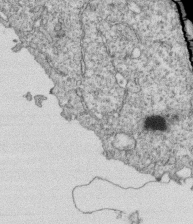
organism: Human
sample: HeLa cell HIV synapse